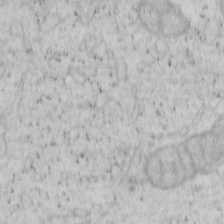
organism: Human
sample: HeLa cells